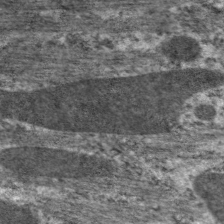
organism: C. elegans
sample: Pharynx